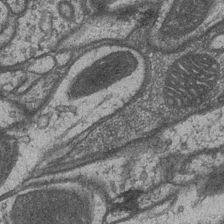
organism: Drosophila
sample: Optic medulla